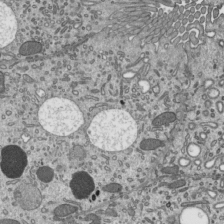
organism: Mouse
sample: Mouse epididymis efferent ductule cilia